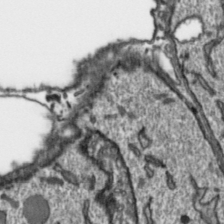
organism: Toxoplasma gondii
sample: Parasites in a vacuole inside a host cell